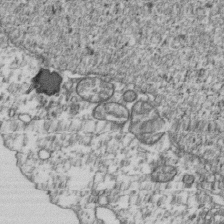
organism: Human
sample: Activated Jurkat CD4+ T cells